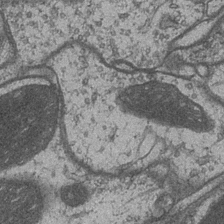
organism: Drosophila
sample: Optic medulla